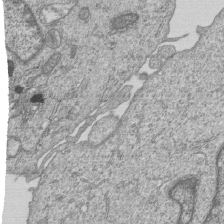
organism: Human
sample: MDA-MB-231 cells